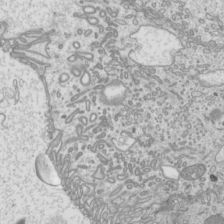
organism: Mouse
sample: Cilia; mouse epididymis